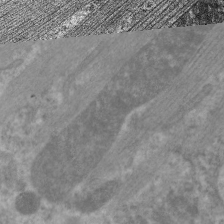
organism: C. elegans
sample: Pharynx